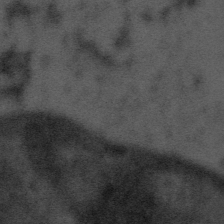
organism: Tuwongella immobilis